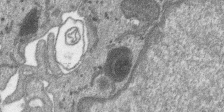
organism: Human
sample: Lung epithelial cells infected with SARS-CoV-2